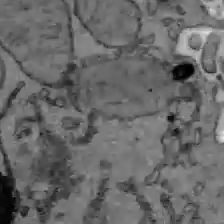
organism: C57BL Mouse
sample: Liver